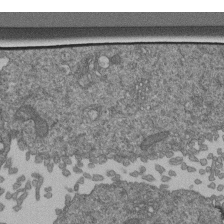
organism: Human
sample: Retinal organoid Rod and Cone cells